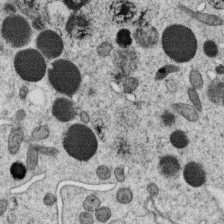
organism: C. elegans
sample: C. elegans oocyte; sperm cells